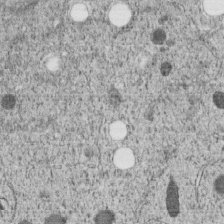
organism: C. elegans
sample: C. elegans embryo early stage